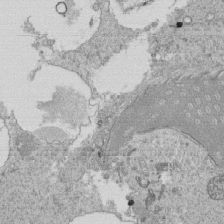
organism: Tetrahymena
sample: Cilia in tetrahymena